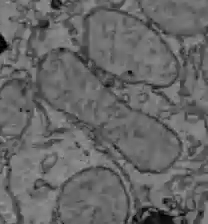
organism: C57BL Mouse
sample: Liver